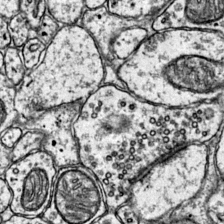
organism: Mouse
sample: Primary visual cortex